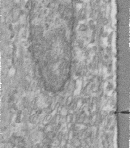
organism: Human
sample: Centriole in fibroblast cells